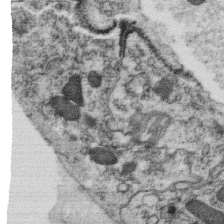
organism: C. elegans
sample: C. elegans oocyte; sperm cells